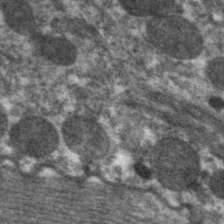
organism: C. elegans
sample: Pharynx